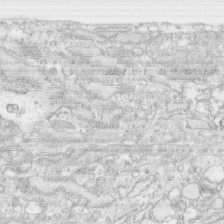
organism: Human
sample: CRL-1474